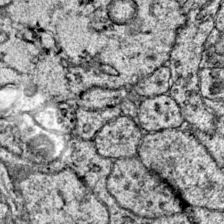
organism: Mouse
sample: Primary visual cortex